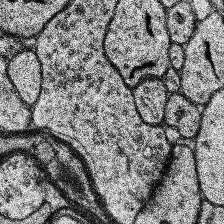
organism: Human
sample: Temporal Lobe